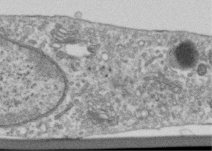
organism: Human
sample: Centriole in RPE cells